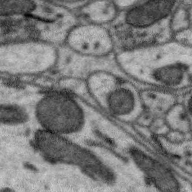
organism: Zebra finch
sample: Brain